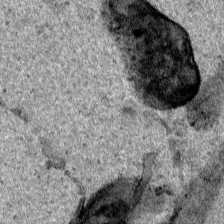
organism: Human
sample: Mitochondria in HCT116 cells